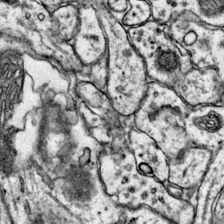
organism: Mouse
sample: Primary visual cortex